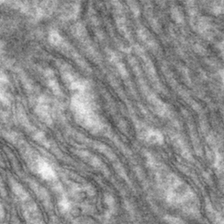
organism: Mouse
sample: Mouse hepatocytes